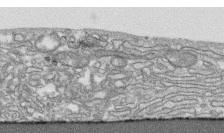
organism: Human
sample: CRL-1474